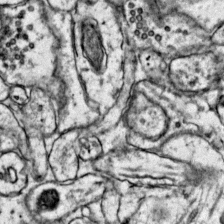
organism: Mouse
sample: Primary visual cortex